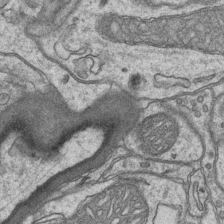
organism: Mouse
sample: CA1 Hippocampus